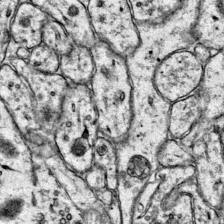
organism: Mouse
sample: Primary visual cortex